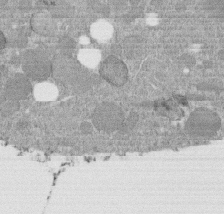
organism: C. elegans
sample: C. elegans embryo early stage